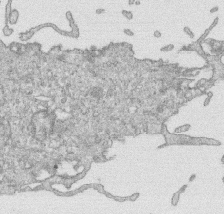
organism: Human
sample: HeLa cell HIV synapse